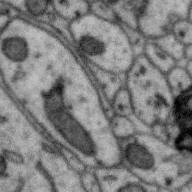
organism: Zebra finch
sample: Brain